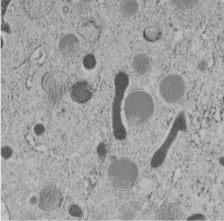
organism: C. elegans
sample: C. elegans embryo early stage